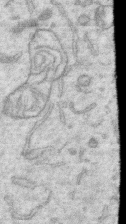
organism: Human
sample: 1205lu cells